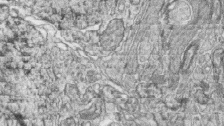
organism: Zebrafish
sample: synaptic ribbons in rod cells and cone cells